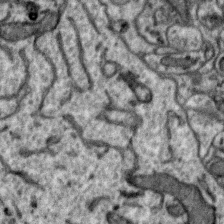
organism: Zebra finch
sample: Brain